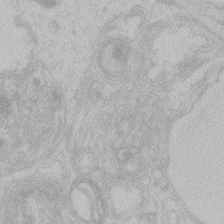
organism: Zebrafish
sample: Macrophage infected with Toxoplasma gondii